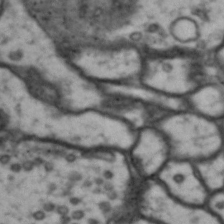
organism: Drosophila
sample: Brain